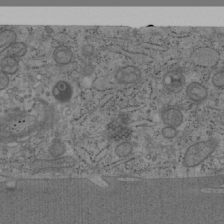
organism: Human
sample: HeLa cells